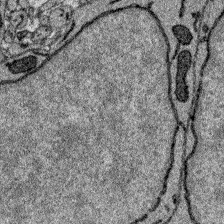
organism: Zebrafish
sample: Larval olfactory bulb